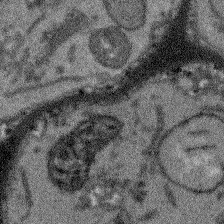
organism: Arabidopsis thaliana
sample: Root tip